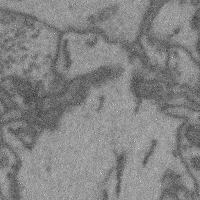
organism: Mouse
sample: Cerebral cortex